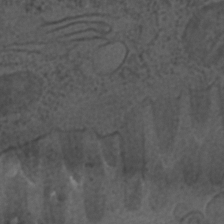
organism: C. elegans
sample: C. elegans embryo